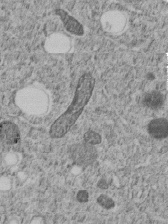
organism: C. elegans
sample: C. elegans embryo early stage